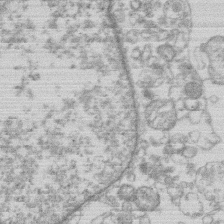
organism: Human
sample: Macrophage cells